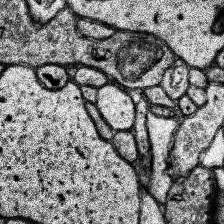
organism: Human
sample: Temporal Lobe